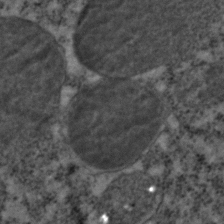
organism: C. elegans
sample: C. elegans embryo